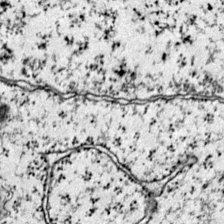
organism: Mouse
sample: Primary visual cortex